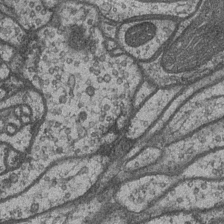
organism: Drosophila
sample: Optic medulla